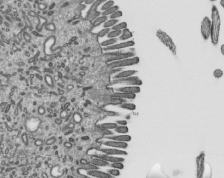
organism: Mouse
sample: Mouse epididymis efferent ductule cilia